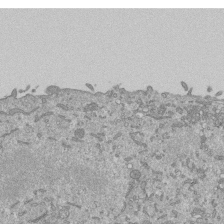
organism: Mouse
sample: ED-1 cell nuclei; centrioles